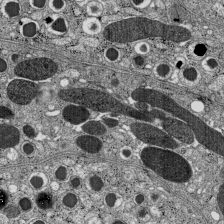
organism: C57BL Mouse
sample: Pancreatic islet